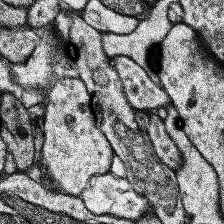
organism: Human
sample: Temporal Lobe